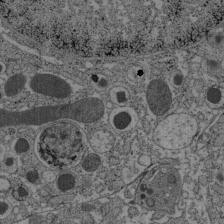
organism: C57BL Mouse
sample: Pancreatic islet